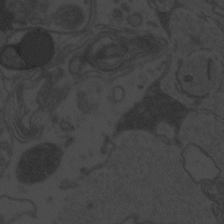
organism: Zebrafish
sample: Macrophage infected with Toxoplasma gondii